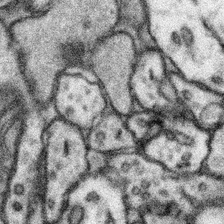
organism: Mouse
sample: Somatosensory cortex neuropil